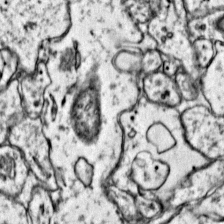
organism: Mouse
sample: Primary visual cortex